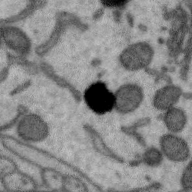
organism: Zebra finch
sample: Brain